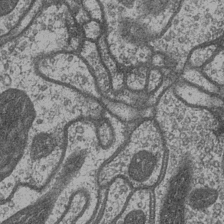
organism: Drosophila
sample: Optic medulla